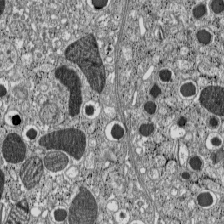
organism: C57BL Mouse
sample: Pancreatic islet